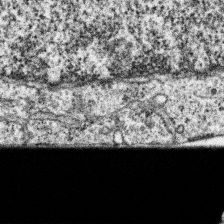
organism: Human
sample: HeLa cells